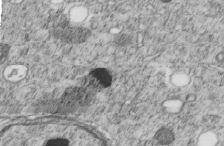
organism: C. elegans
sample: C. elegans embryo early stage